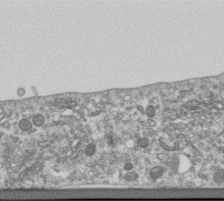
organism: Human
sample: Centriole in RPE cells